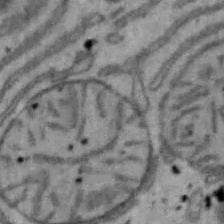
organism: Mouse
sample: Liver